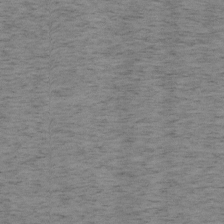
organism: Mouse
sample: OT-I killer T cells with ID8 ovarian cancer cells